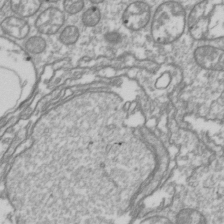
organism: Drosophila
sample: Cell division; meiosis; drosophila spermatocytes